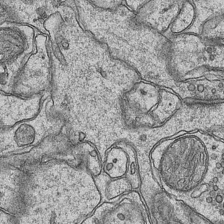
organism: Mouse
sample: CA1 Hippocampus